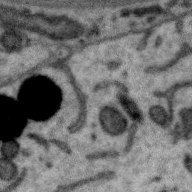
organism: Zebra finch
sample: Brain